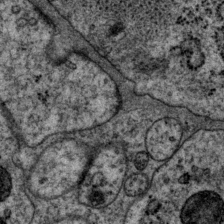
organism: P. pacificus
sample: Pharynx